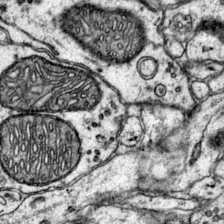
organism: Mouse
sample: Primary visual cortex